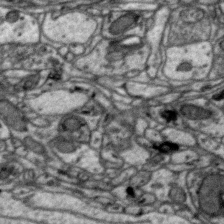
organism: Zebra finch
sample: Brain